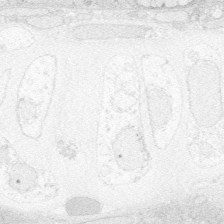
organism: Zebrafish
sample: Whole-Brain